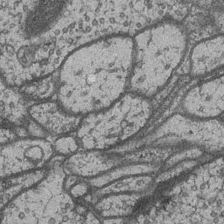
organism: Drosophila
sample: Optic medulla